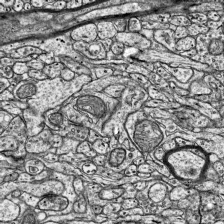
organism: Mouse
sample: Visual Cortex